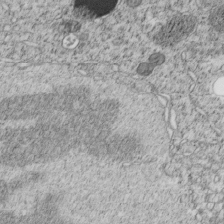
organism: C. elegans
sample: C. elegans embryo early stage